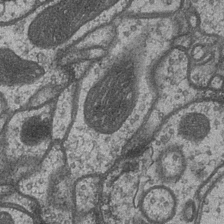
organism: Drosophila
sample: Optic medulla